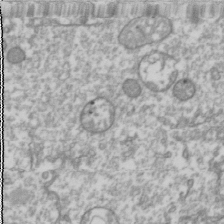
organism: Drosophila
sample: Cell division; meiosis; drosophila spermatocytes